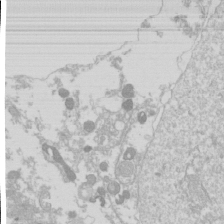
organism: Drosophila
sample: Cell division; meiosis; drosophila spermatocytes